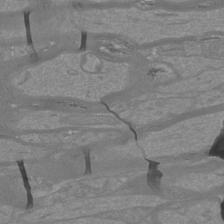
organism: Mouse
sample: Cortical neurons